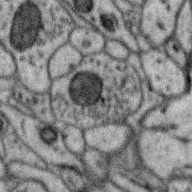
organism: Zebra finch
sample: Brain